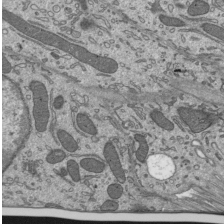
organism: Mouse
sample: Mouse epididymis efferent ductule cilia